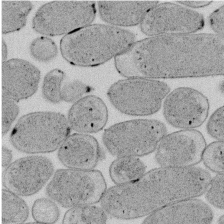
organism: E. coli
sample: Bacterial nucleoid